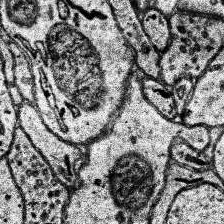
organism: Human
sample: Temporal Lobe